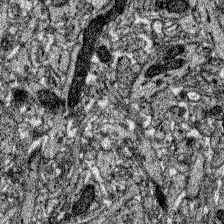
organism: Zebrafish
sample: Larval olfactory bulb